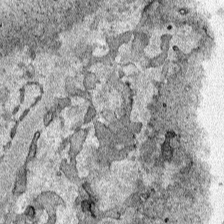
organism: Human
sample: Mitochondria in HCT116 cells